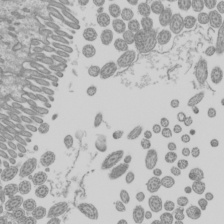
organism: Mouse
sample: Cilia; mouse epididymis